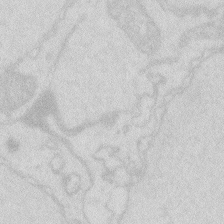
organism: Zebrafish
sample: Macrophage